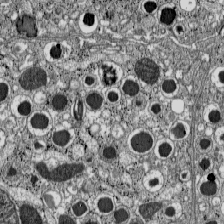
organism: C57BL Mouse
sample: Pancreatic islet